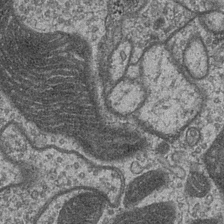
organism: Drosophila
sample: Optic medulla